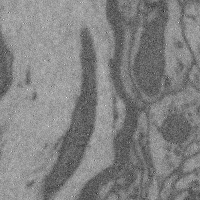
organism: Mouse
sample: Cerebral cortex